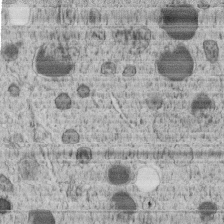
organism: C. elegans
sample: C. elegans embryo early stage